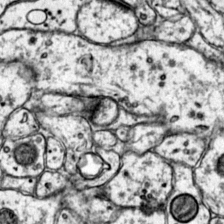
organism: Mouse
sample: Primary visual cortex